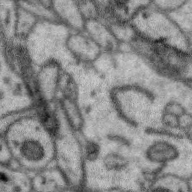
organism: Zebra finch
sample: Brain